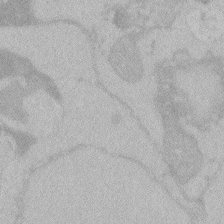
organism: Zebrafish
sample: Macrophage infected with Toxoplasma gondii